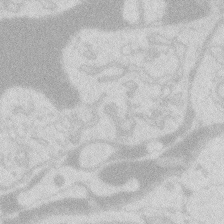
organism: Zebrafish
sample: Macrophage